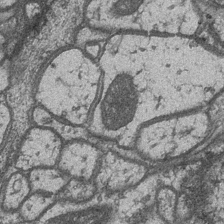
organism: Drosophila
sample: Optic medulla